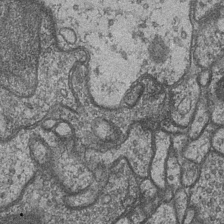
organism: Drosophila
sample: Optic medulla